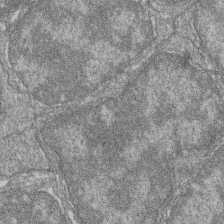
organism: Zebrafish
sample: Cilia; retinal pigment epithelium